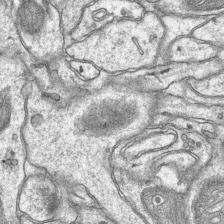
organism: Mouse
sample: CA1 Hippocampus